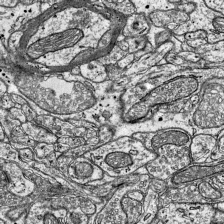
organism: Mouse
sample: Visual Cortex